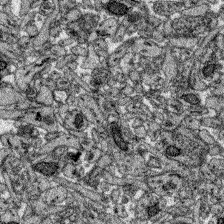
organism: Zebrafish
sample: Larval olfactory bulb